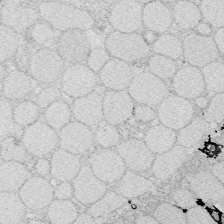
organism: Zebrafish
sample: Whole-Brain